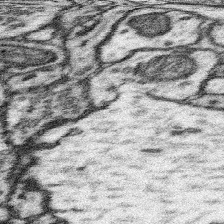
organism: Mouse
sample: Somatosensory cortex neuropil